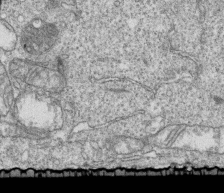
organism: Human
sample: HeLa cell HIV synapse